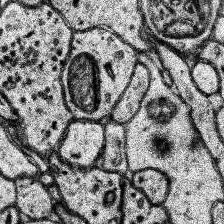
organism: Human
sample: Temporal Lobe